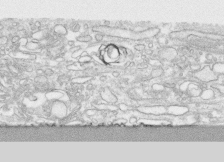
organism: Human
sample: CRL-1474